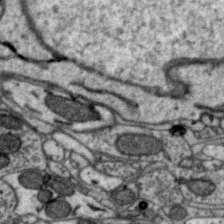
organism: Zebra finch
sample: Brain